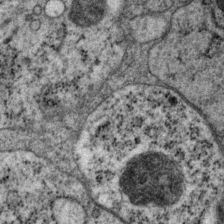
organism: P. pacificus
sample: Pharynx